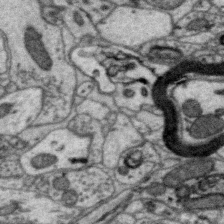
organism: Zebra finch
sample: Brain